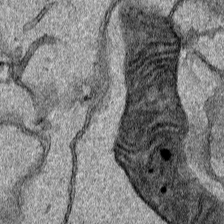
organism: Human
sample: Mitochondria in HCT116 cells